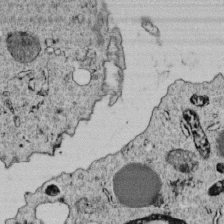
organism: C. elegans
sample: C. elegans embryo early stage